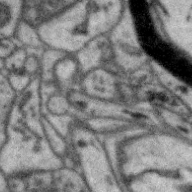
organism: Zebra finch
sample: Brain